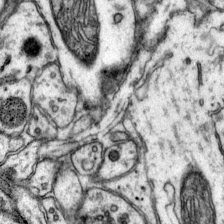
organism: Mouse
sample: Primary visual cortex